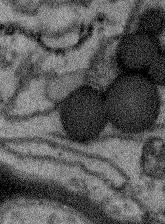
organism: Arabidopsis thaliana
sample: Root tip